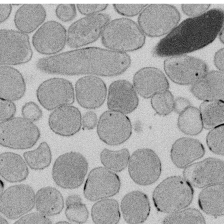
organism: E. coli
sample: Bacterial nucleoid